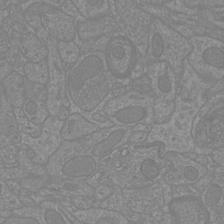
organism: Mouse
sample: Cortical neurons